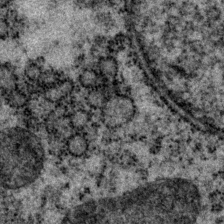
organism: P. pacificus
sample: Pharynx